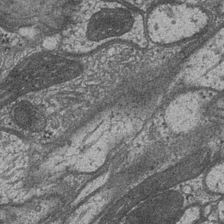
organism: Drosophila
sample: Optic medulla